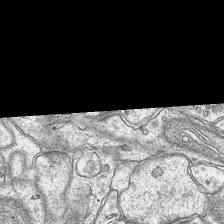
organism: Mouse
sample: CA1 Hippocampus